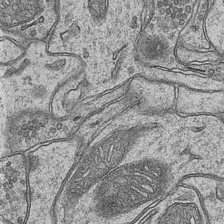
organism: Mouse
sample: CA1 Hippocampus